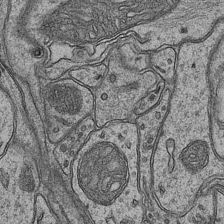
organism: Mouse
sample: CA1 Hippocampus